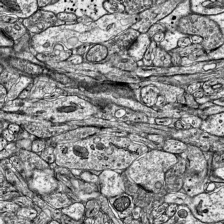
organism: Mouse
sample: Visual Cortex